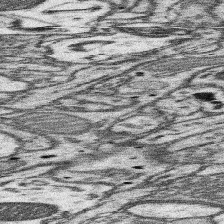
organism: Mouse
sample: Somatosensory cortex neuropil